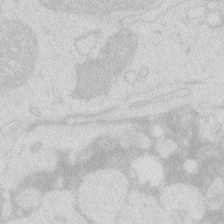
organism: Zebrafish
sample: Macrophage